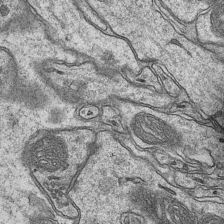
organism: Mouse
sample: CA1 Hippocampus